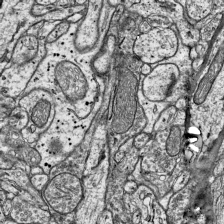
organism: Mouse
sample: Visual Cortex